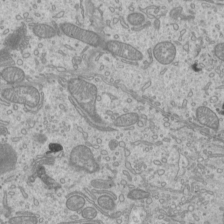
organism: Mouse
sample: Cilia; mouse epididymis